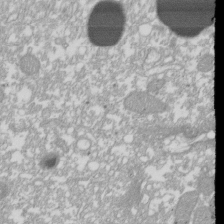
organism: Xenopus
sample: Cilia; centrioles in frog embryo cells